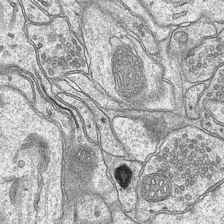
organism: Mouse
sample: CA1 Hippocampus